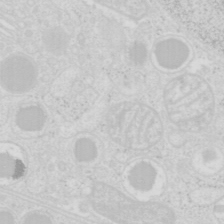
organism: Mouse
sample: Pancreas